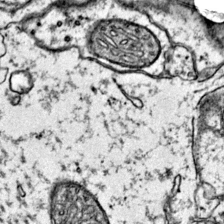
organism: Mouse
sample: Primary visual cortex